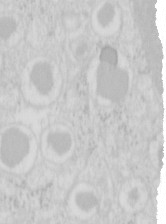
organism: Mouse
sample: Pancreas